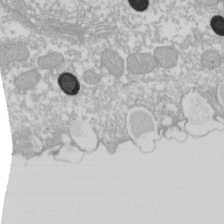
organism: Xenopus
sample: Cilia; centrioles in frog embryo cells